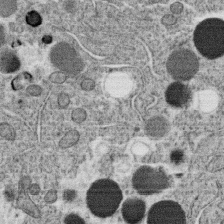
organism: C. elegans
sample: C. elegans oocyte; sperm cells